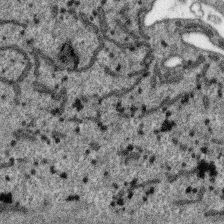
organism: Human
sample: Lung epithelial cells infected with SARS-CoV-2